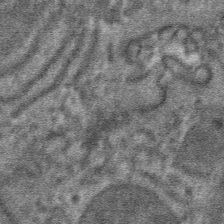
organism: Mouse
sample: Mouse hepatocytes